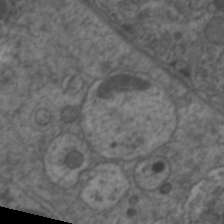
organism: C. elegans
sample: Pharynx